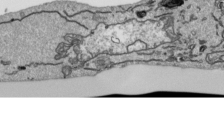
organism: Human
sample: Mitochondria in HCT116 cells